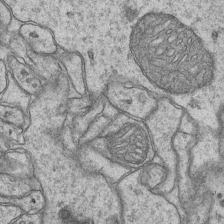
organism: Mouse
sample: CA1 Hippocampus